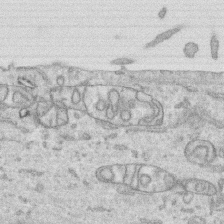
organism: Human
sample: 1205lu cells